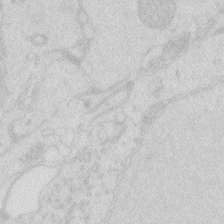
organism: Zebrafish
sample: Macrophage